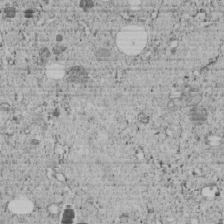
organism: C. elegans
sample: C. elegans embryo early stage